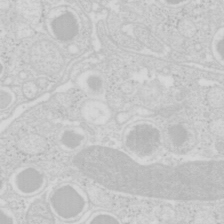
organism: Mouse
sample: Pancreas